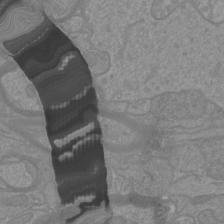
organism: Mouse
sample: Cortical neurons